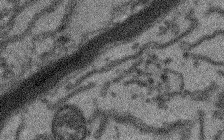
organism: Arabidopsis thaliana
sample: Root tip